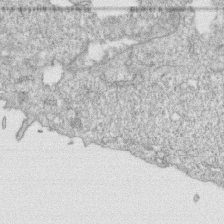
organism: Human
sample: HeLa cell HIV synapse